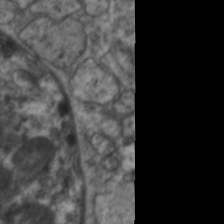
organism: C. elegans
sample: Pharynx